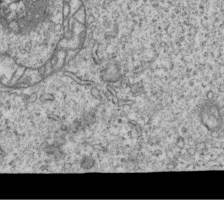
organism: Human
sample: MDA-MB-231 cells